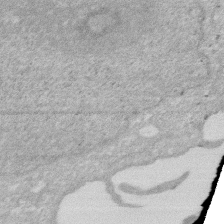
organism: Human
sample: HIV infected U937 cells